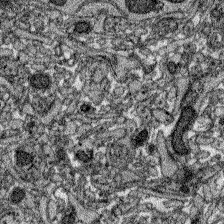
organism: Zebrafish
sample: Larval olfactory bulb